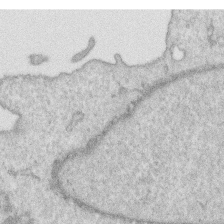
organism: Human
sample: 1205lu cells